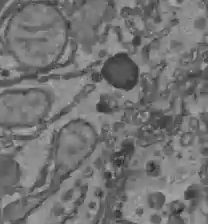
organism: C57BL Mouse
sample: Liver